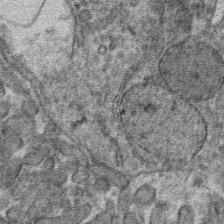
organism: Mouse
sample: Mouse hepatocytes